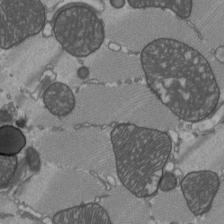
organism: C57BL Mouse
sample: Heart